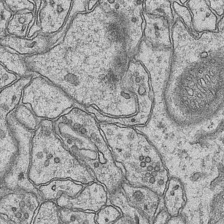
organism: Mouse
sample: CA1 Hippocampus